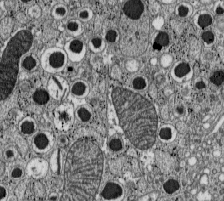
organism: C57BL Mouse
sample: Pancreatic islet